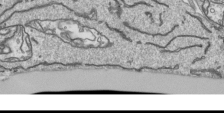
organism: Human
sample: Mitochondria in HCT116 cells